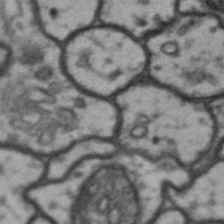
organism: Drosophila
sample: Brain